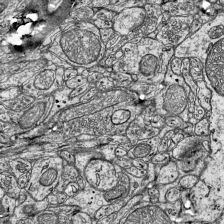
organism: Mouse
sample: Visual Cortex